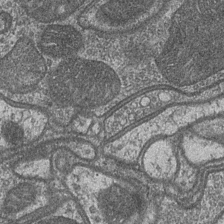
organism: Drosophila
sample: Optic medulla